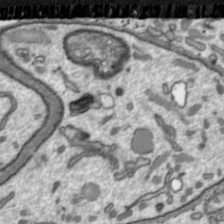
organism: Toxoplasma gondii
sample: Parasites in a vacuole inside a host cell